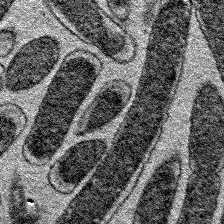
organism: E. coli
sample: E. Coli Bacteria